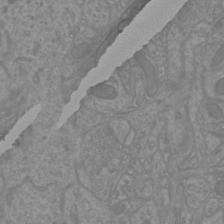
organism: Mouse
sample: Cortical neurons